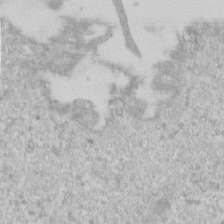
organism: Human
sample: Centriole in RPE cells